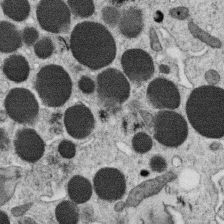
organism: C. elegans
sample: C. elegans oocyte; sperm cells